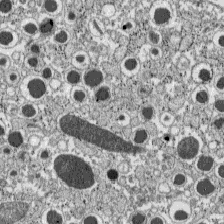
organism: C57BL Mouse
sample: Pancreatic islet